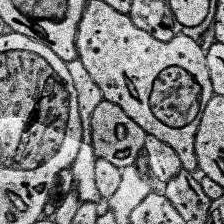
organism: Human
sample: Temporal Lobe